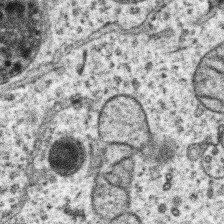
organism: Human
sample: HeLa cells